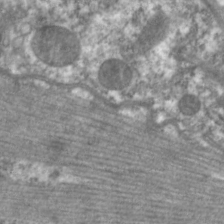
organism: C. elegans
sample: Pharynx